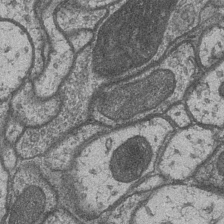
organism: Drosophila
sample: Optic medulla